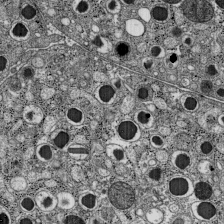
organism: C57BL Mouse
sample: Pancreatic islet